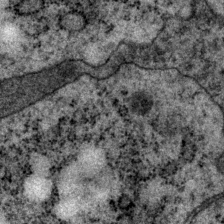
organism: P. pacificus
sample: Pharynx